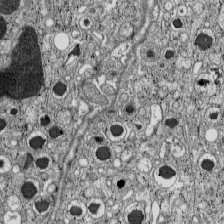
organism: C57BL Mouse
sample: Pancreatic islet